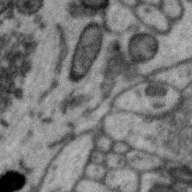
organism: Zebra finch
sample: Brain